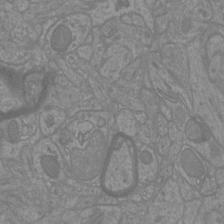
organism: Mouse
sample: Cortical neurons